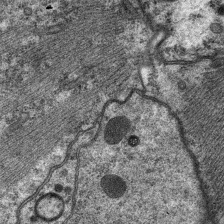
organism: C. elegans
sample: Pharynx